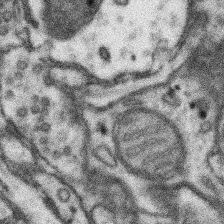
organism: Mouse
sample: Somatosensory cortex neuropil